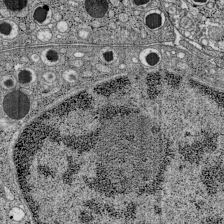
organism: C57BL Mouse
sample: Pancreatic islet